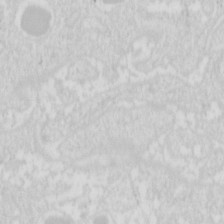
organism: Mouse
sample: Pancreas